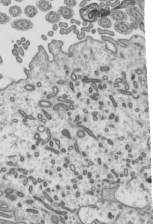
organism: Mouse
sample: Mouse epididymis efferent ductule cilia